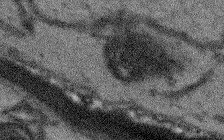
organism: Arabidopsis thaliana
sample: Root tip